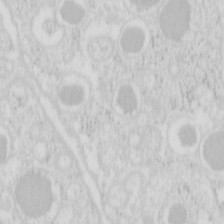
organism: Mouse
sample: Pancreas